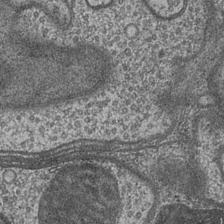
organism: Drosophila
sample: Optic medulla